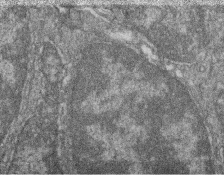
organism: Zebrafish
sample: Cilia; retinal pigment epithelium